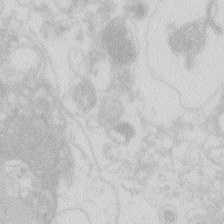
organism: Zebrafish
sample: Macrophage